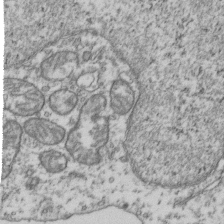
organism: Human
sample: Activated Jurkat CD4+ T cells